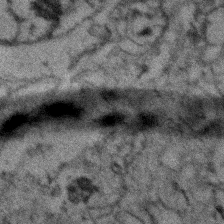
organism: Zebrafish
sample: Zebrafish embryo